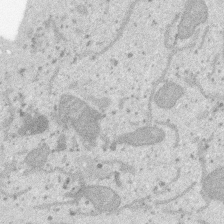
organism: Human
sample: Lung epithelial cells infected with SARS-CoV-2